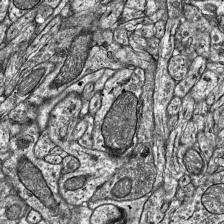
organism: Mouse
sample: Visual Cortex